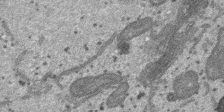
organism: Human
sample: Lung epithelial cells infected with SARS-CoV-2